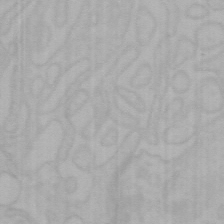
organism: Mouse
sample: Choroid plexus